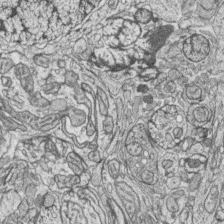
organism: Zebrafish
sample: synaptic ribbons in rod cells and cone cells